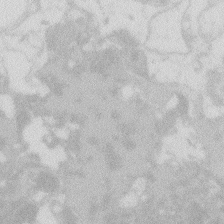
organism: Zebrafish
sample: Macrophage